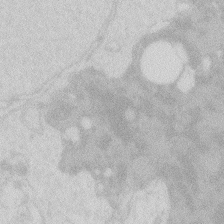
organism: Zebrafish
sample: Macrophage